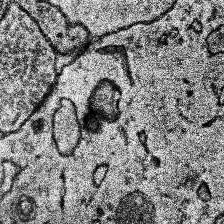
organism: Human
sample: Temporal Lobe